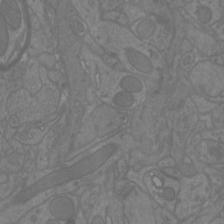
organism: Mouse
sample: Cortical neurons